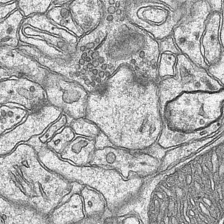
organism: Mouse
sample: CA1 Hippocampus